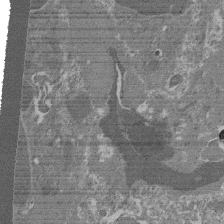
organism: Mouse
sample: Glomerulus